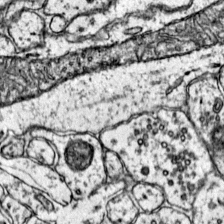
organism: Mouse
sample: Primary visual cortex